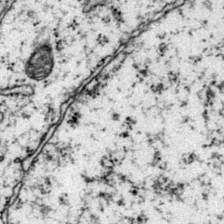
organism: Mouse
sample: Primary visual cortex